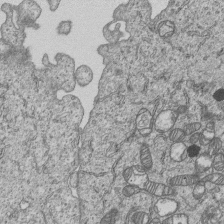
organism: Human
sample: MDA-MB-231 cells